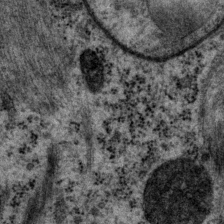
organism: P. pacificus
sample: Pharynx